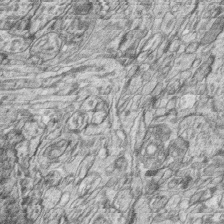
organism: Zebrafish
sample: synaptic ribbons in rod cells and cone cells